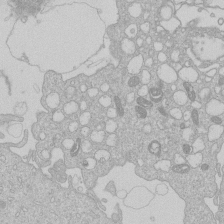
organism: Human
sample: Macrophage cells